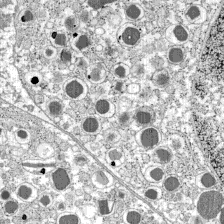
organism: C57BL Mouse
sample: Pancreatic islet